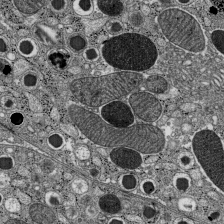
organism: C57BL Mouse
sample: Pancreatic islet